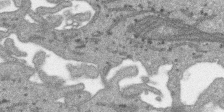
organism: Human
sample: Lung epithelial cells infected with SARS-CoV-2